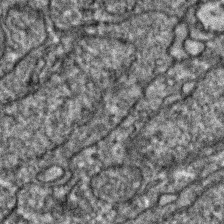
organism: Zebrafish